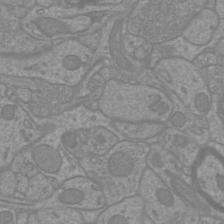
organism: Mouse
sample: Cortical neurons